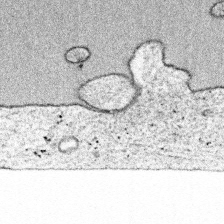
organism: Human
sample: HeLa cells